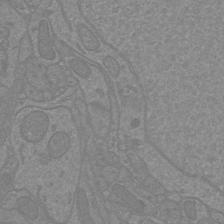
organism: Mouse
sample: Cortical neurons